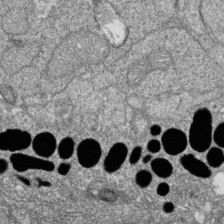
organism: Zebrafish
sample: Cilia; retinal pigment epithelium